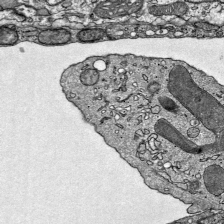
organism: Mouse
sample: Visual Cortex